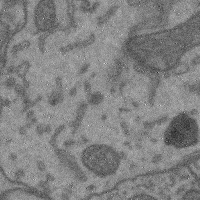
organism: Mouse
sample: Cerebral cortex